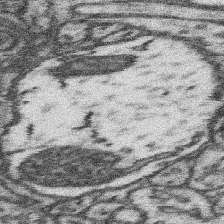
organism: Mouse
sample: Somatosensory cortex neuropil